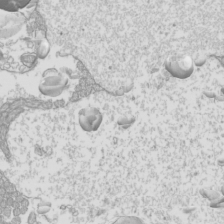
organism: Mouse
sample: Cilia; mouse epididymis